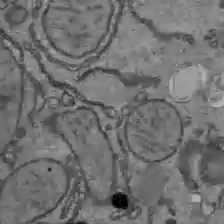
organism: C57BL Mouse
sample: Liver